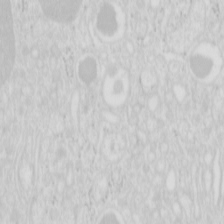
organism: Mouse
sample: Pancreas